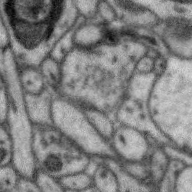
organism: Zebra finch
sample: Brain